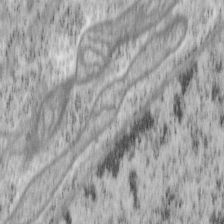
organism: Human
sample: HeLa cells